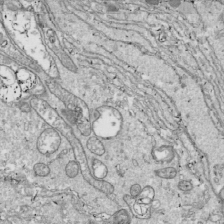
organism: Drosophila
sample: Cell division; meiosis; drosophila spermatocytes